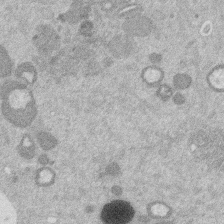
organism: Mouse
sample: Dividing mouse embryo 1 cell stage